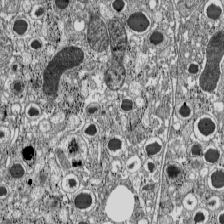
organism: C57BL Mouse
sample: Pancreatic islet